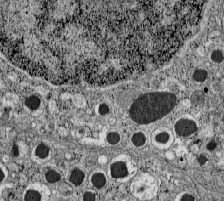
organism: C57BL Mouse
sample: Pancreatic islet